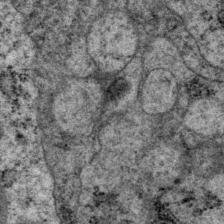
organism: P. pacificus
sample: Pharynx